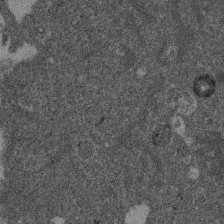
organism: Mouse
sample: Dividing mouse embryo 1 cell stage